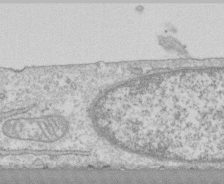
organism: Human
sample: CRL-1474